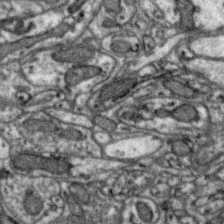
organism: Zebra finch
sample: Brain